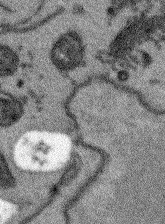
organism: Arabidopsis thaliana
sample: Root tip